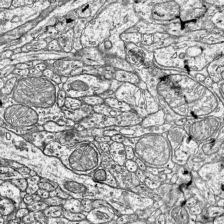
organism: Mouse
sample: Visual Cortex